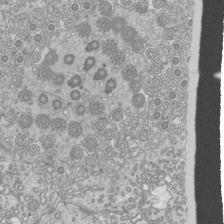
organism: Mouse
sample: Cilia; mouse epididymis